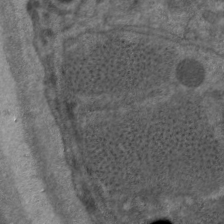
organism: C. elegans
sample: Pharynx